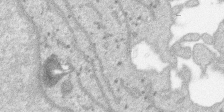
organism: Human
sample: Lung epithelial cells infected with SARS-CoV-2